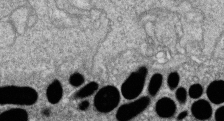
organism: Zebrafish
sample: Cilia; retinal pigment epithelium